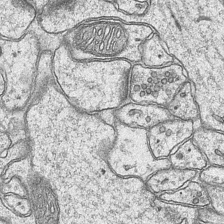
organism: Mouse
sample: CA1 Hippocampus